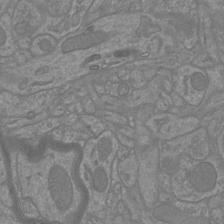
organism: Mouse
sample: Cortical neurons